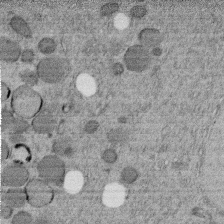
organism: C. elegans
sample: C. elegans embryo early stage